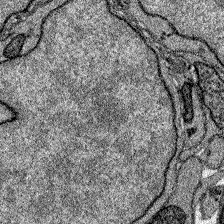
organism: Zebrafish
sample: Larval olfactory bulb